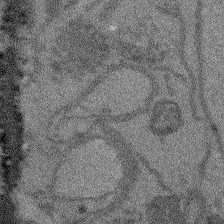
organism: Arabidopsis thaliana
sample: Root tip